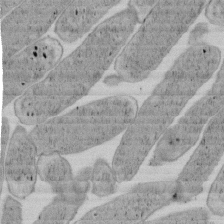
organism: E. coli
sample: Bacterial nucleoid